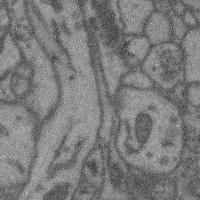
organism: Mouse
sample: Cerebral cortex